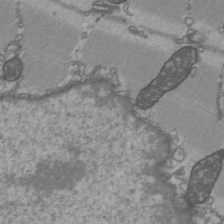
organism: C57BL Mouse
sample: Heart